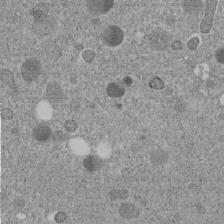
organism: C. elegans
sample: C. elegans embryo early stage